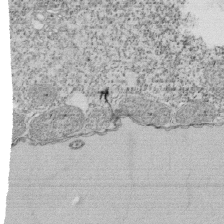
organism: Tetrahymena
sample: Cilia in tetrahymena